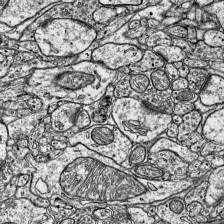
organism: Mouse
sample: Visual Cortex